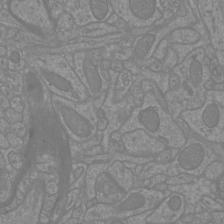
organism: Mouse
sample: Cortical neurons